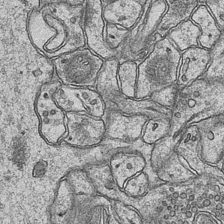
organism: Mouse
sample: CA1 Hippocampus